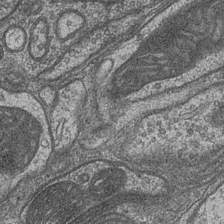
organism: Drosophila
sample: Optic medulla